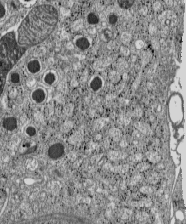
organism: C57BL Mouse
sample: Pancreatic islet